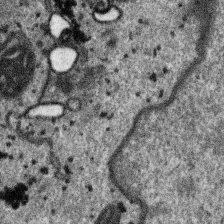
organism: Human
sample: Lung epithelial cells infected with SARS-CoV-2